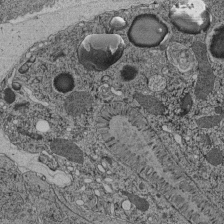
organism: C. elegans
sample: C. elegans pharynx